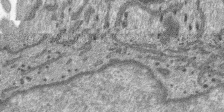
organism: Human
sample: Lung epithelial cells infected with SARS-CoV-2